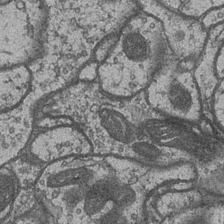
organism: Drosophila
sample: Optic medulla